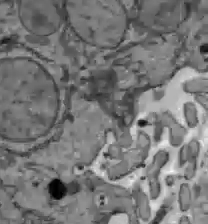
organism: C57BL Mouse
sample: Liver